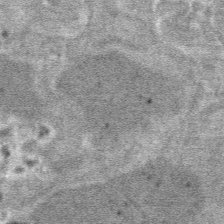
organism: Mouse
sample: Mouse hepatocytes